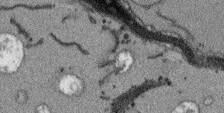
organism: Arabidopsis thaliana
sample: Root tip